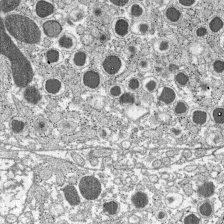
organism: C57BL Mouse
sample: Pancreatic islet